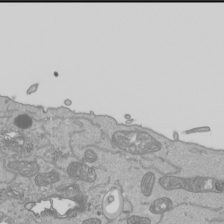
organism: Human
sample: Mitochondria in HCT116 cells